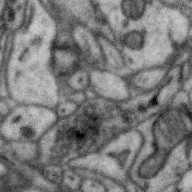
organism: Zebra finch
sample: Brain